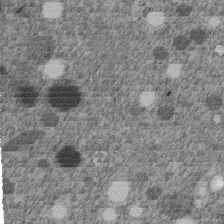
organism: C. elegans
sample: C. elegans embryo early stage